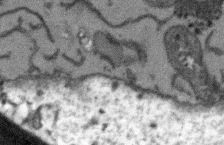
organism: Arabidopsis thaliana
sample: Root tip